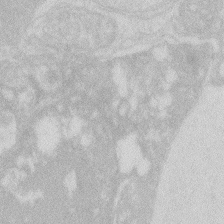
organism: Zebrafish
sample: Macrophage